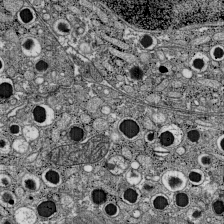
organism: C57BL Mouse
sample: Pancreatic islet